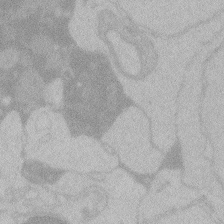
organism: Zebrafish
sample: Macrophage infected with Toxoplasma gondii